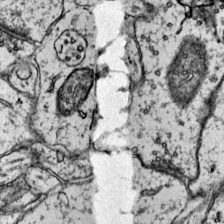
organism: Mouse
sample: Primary visual cortex